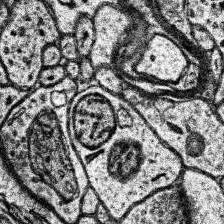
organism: Human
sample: Temporal Lobe